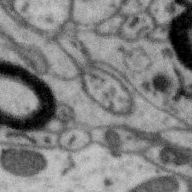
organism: Zebra finch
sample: Brain